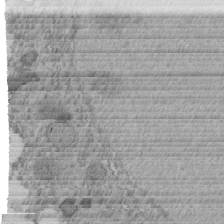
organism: C. elegans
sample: C. elegans embryo early stage